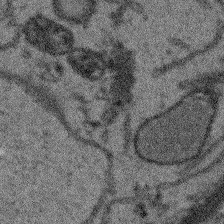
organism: Arabidopsis thaliana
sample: Root tip